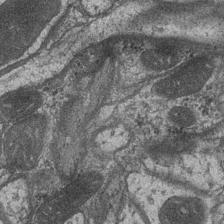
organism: Drosophila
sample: Optic medulla